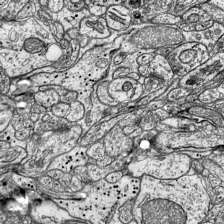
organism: Mouse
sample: Visual Cortex